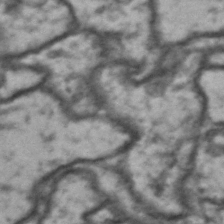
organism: Drosophila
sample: Brain